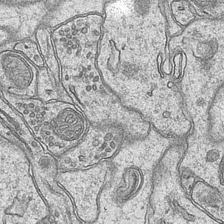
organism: Mouse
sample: CA1 Hippocampus